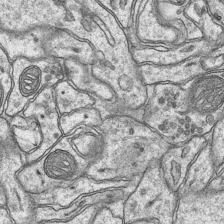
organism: Mouse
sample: CA1 Hippocampus